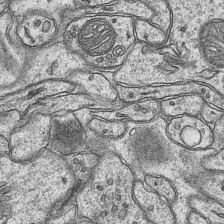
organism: Mouse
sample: CA1 Hippocampus